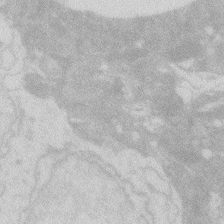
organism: Zebrafish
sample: Macrophage